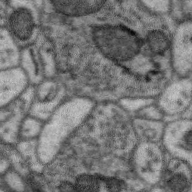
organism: Zebra finch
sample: Brain